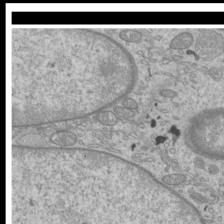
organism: Mouse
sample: Cilia; mouse epididymis